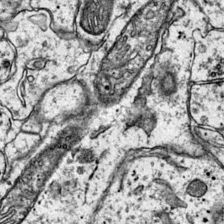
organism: Mouse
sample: Primary visual cortex